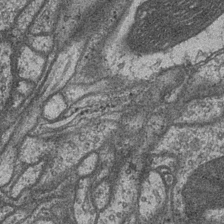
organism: Drosophila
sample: Optic medulla